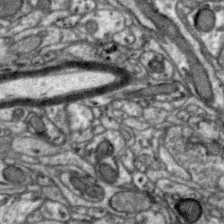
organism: Zebra finch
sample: Brain